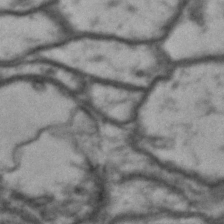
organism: Drosophila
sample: Brain